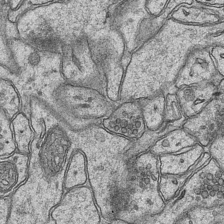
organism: Mouse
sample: CA1 Hippocampus